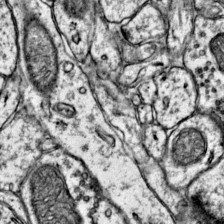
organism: Mouse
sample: Primary visual cortex